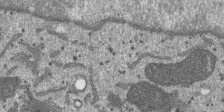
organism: Human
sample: Lung epithelial cells infected with SARS-CoV-2